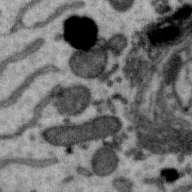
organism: Zebra finch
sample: Brain